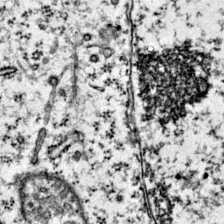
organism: Mouse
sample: Primary visual cortex